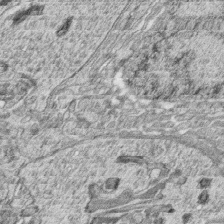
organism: Zebrafish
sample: synaptic ribbons in rod cells and cone cells